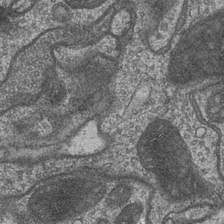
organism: Drosophila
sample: Optic medulla